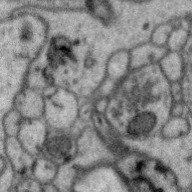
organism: Zebra finch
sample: Brain